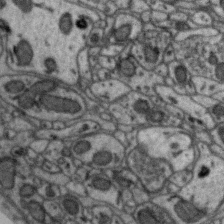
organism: Zebra finch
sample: Brain